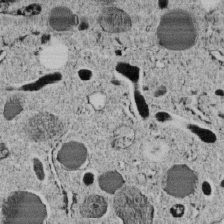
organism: C. elegans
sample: C. elegans embryo early stage